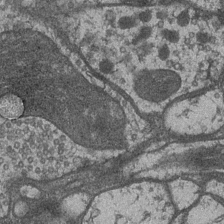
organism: Drosophila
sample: Optic medulla